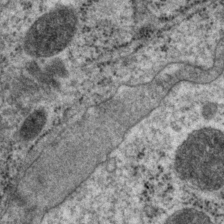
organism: P. pacificus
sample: Pharynx